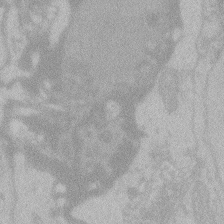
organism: Zebrafish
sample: Macrophage infected with Toxoplasma gondii